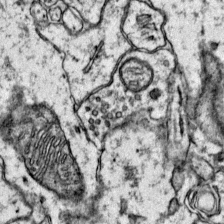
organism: Mouse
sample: Primary visual cortex